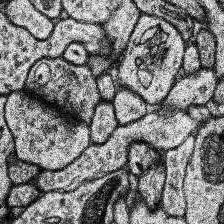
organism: Human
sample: Temporal Lobe